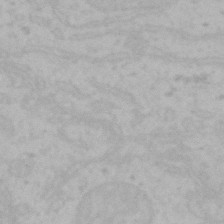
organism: Mouse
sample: Choroid plexus